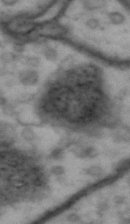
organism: Drosophila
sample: Brain